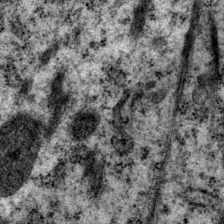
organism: P. pacificus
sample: Pharynx